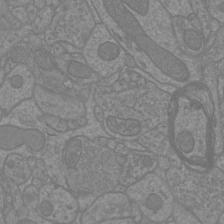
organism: Mouse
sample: Cortical neurons